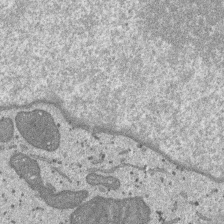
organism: Human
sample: Lung epithelial cells infected with SARS-CoV-2